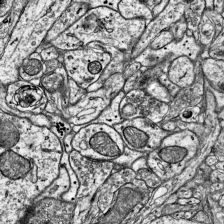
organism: Mouse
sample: Visual Cortex